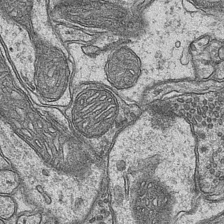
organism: Mouse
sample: CA1 Hippocampus